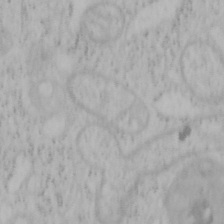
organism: Mouse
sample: OT-I killer T cells with ID8 ovarian cancer cells